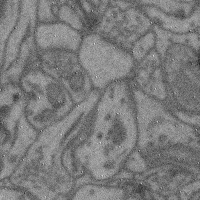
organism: Mouse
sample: Cerebral cortex